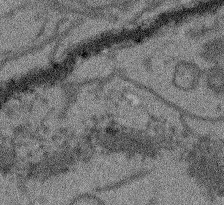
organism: Arabidopsis thaliana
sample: Root tip